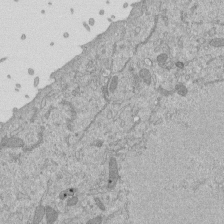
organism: Mouse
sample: ED-1 cell nuclei; centrioles